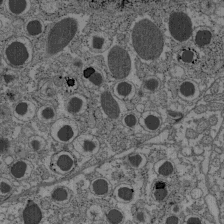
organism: C57BL Mouse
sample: Pancreatic islet